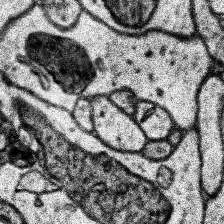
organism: Human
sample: Temporal Lobe